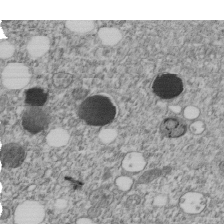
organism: C. elegans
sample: C. elegans embryo early stage